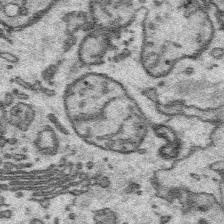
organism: Platynereis dumerilii